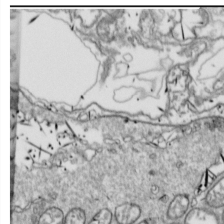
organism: Drosophila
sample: Cell division; meiosis; drosophila spermatocytes